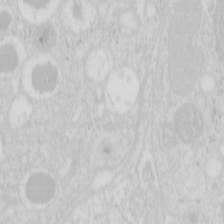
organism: Mouse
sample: Pancreas